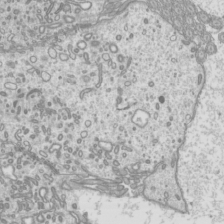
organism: Mouse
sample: Cilia; mouse epididymis